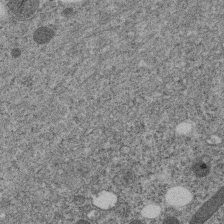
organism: C. elegans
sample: C. elegans embryo early stage